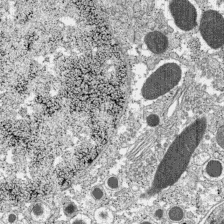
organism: C57BL Mouse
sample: Pancreatic islet